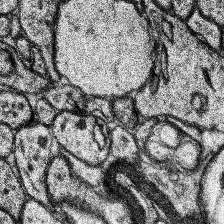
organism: Human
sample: Temporal Lobe